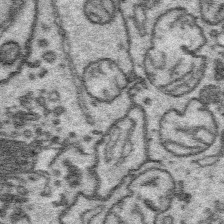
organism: Platynereis dumerilii